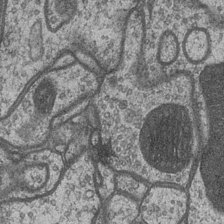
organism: Drosophila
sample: Optic medulla